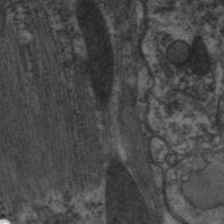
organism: C. elegans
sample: Pharynx